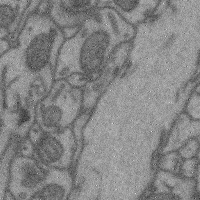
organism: Mouse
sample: Cerebral cortex